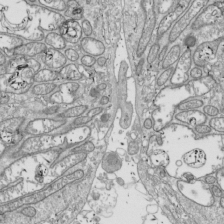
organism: Drosophila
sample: Cell division; meiosis; drosophila spermatocytes